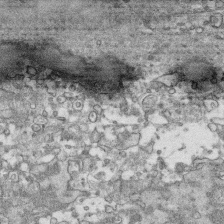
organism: Human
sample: CRL-1474